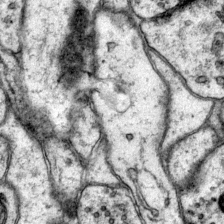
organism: Mouse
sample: Primary visual cortex